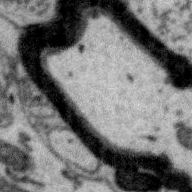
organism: Zebra finch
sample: Brain